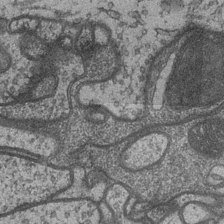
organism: Drosophila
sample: Optic medulla